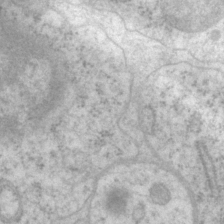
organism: P. pacificus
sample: Pharynx